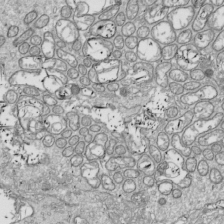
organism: Drosophila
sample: Cell division; meiosis; drosophila spermatocytes